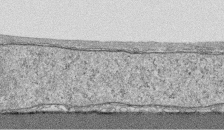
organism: Human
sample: CRL-1474